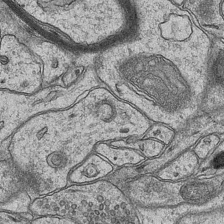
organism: Mouse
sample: CA1 Hippocampus